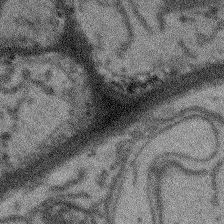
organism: Arabidopsis thaliana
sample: Root tip